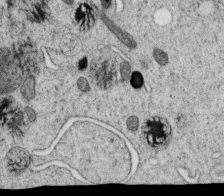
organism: C. elegans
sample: C. elegans oocyte; sperm cells